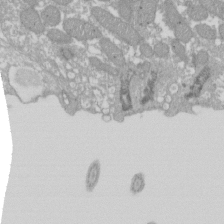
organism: Xenopus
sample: Cilia; centrioles in frog embryo cells